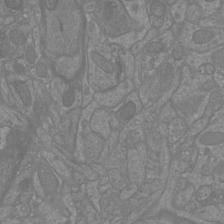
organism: Mouse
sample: Cortical neurons